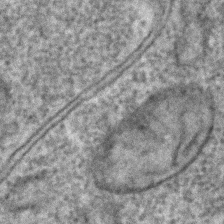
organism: C. elegans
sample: C. elegans embryo